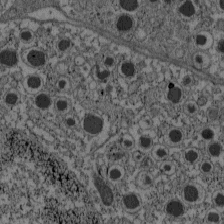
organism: C57BL Mouse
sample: Pancreatic islet